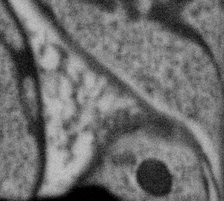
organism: Gemmata obscuriglobus